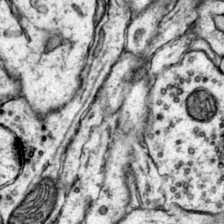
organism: Mouse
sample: Primary visual cortex